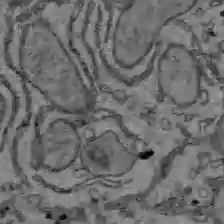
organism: C57BL Mouse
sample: Liver